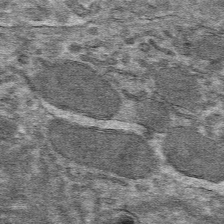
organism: Mouse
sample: Mouse hepatocytes